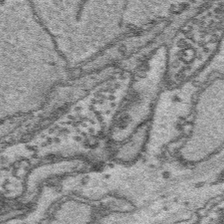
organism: Platynereis dumerilii